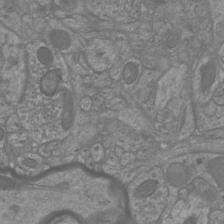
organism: Mouse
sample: Cortical neurons